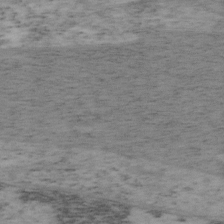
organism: Mouse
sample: OT-I killer T cells with ID8 ovarian cancer cells